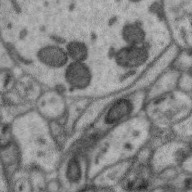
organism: Zebra finch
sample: Brain